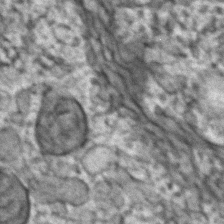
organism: Zebrafish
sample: Zebrafish embryo